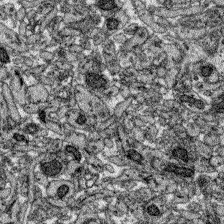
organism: Zebrafish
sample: Larval olfactory bulb